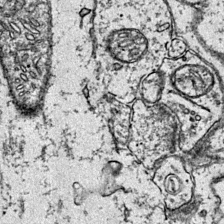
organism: Mouse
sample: Primary visual cortex